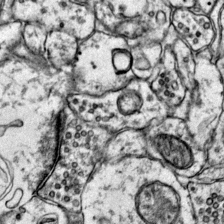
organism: Mouse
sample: Primary visual cortex